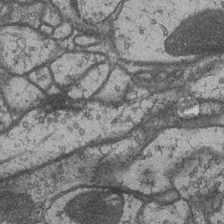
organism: Drosophila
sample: Optic medulla